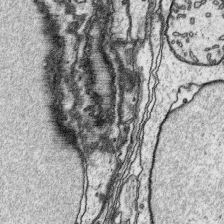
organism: Platynereis dumerilii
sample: Parapodia